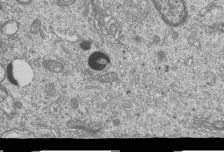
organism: Human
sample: MDA-MB-231 cells